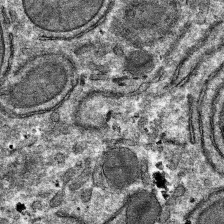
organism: Mouse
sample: Mouse hepatocytes